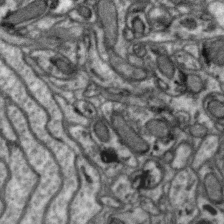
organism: Zebra finch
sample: Brain